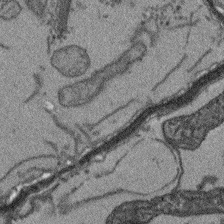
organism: Arabidopsis thaliana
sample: Root tip